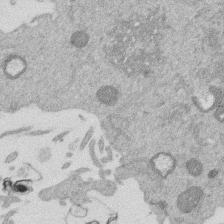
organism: Mouse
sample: Dividing mouse embryo 1 cell stage